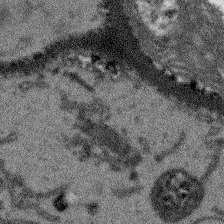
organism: Arabidopsis thaliana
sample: Root tip